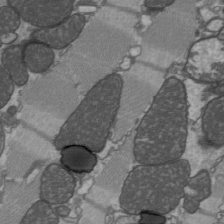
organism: C57BL Mouse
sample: Heart